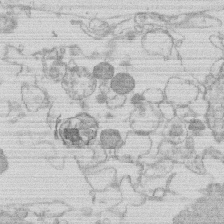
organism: Human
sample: Macrophage cells